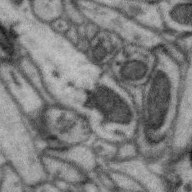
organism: Zebra finch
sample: Brain